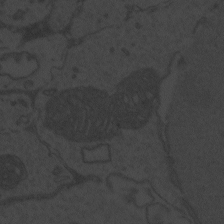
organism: Zebrafish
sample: Macrophage infected with Toxoplasma gondii